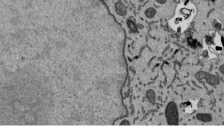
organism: Mouse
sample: ED-1 cell nuclei; centrioles